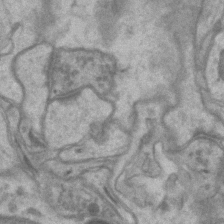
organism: Mouse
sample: CA1 Hippocampus